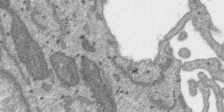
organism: Human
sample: Lung epithelial cells infected with SARS-CoV-2